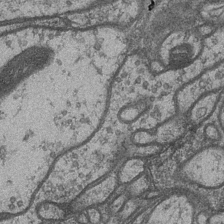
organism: Drosophila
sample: Optic medulla